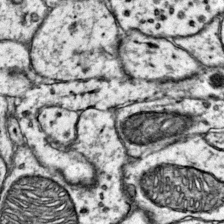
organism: Mouse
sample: Primary visual cortex